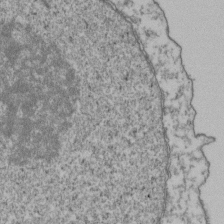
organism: Human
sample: Activated Jurkat CD4+ T cells